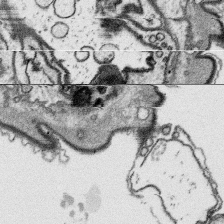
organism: Platynereis dumerilii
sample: Parapodia